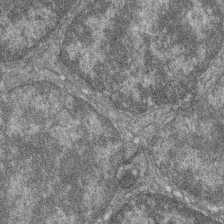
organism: Zebrafish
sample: Cilia; retinal pigment epithelium